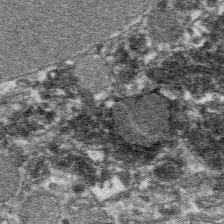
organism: Platynereis dumerilii